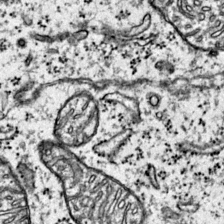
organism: Mouse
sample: Primary visual cortex